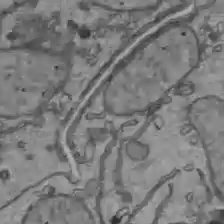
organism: C57BL Mouse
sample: Liver